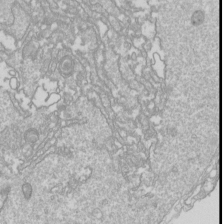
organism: Drosophila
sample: Cell division; meiosis; drosophila spermatocytes